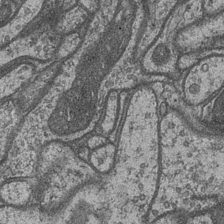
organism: Drosophila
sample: Optic medulla